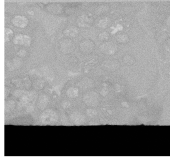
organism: C. elegans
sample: C. elegans oocyte; sperm cells